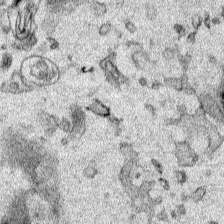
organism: Human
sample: Mitochondria in HCT116 cells